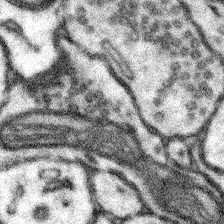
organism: Mouse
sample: Somatosensory cortex neuropil